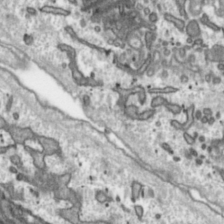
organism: Toxoplasma gondii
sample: Parasites in a vacuole inside a host cell